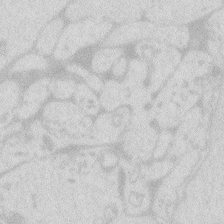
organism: Zebrafish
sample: Macrophage